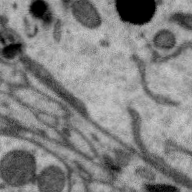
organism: Zebra finch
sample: Brain